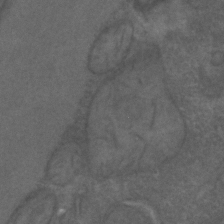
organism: C. elegans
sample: C. elegans embryo